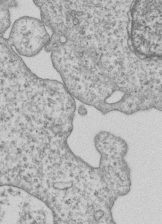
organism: Human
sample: MDA-MB-231 cells